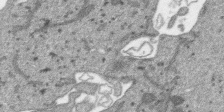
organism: Human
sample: Lung epithelial cells infected with SARS-CoV-2